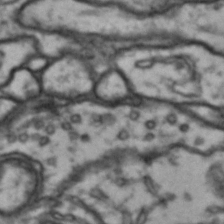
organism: Drosophila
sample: Brain